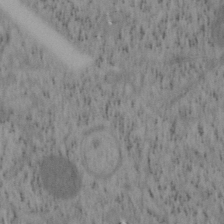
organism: Mouse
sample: OT-I killer T cells with ID8 ovarian cancer cells